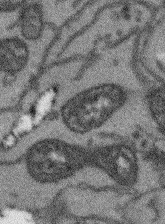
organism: Arabidopsis thaliana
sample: Root tip